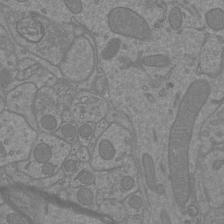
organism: Mouse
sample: Cortical neurons